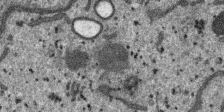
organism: Human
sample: Lung epithelial cells infected with SARS-CoV-2